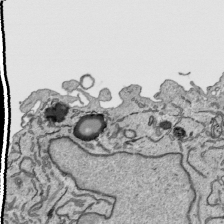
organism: Human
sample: Mitochondria in HCT116 cells